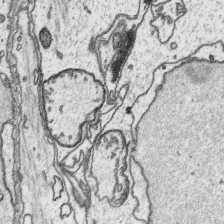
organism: Platynereis dumerilii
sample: Parapodia